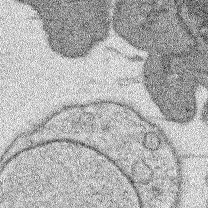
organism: Human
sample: HeLa cells